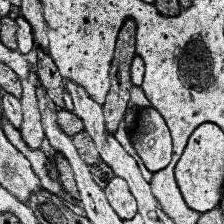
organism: Human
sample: Temporal Lobe